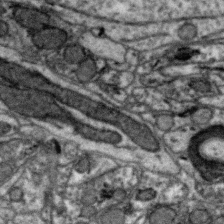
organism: Zebra finch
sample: Brain